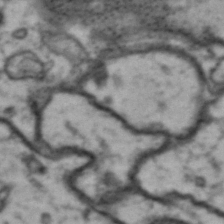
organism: Drosophila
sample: Brain